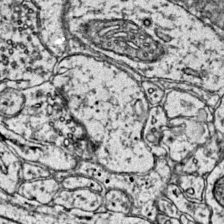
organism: Mouse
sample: Primary visual cortex